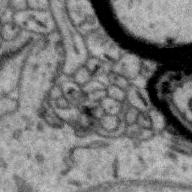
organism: Zebra finch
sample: Brain